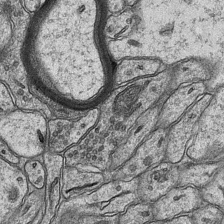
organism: Mouse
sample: CA1 Hippocampus